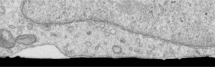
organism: Human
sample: Centriole in RPE cells